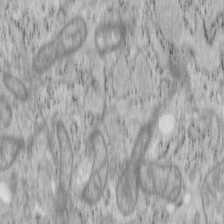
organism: Human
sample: HeLa cells